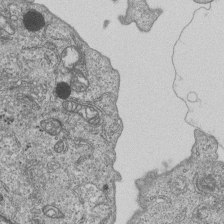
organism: Human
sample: MDA-MB-231 cells